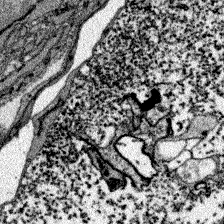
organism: Zebrafish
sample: Larval olfactory bulb